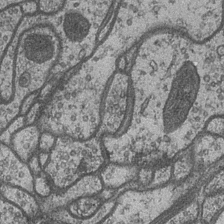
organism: Drosophila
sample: Optic medulla